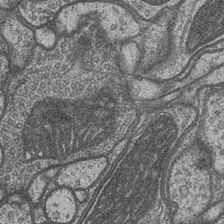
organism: Drosophila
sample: Optic medulla